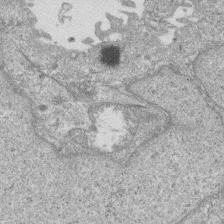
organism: Human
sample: HeLa cell HIV synapse